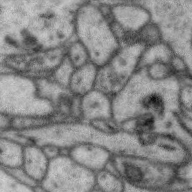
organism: Zebra finch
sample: Brain